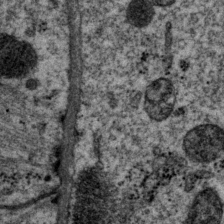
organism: P. pacificus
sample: Pharynx